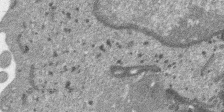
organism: Human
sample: Lung epithelial cells infected with SARS-CoV-2